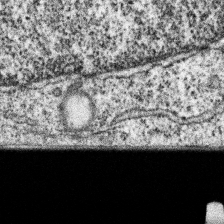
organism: Human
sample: HeLa cells